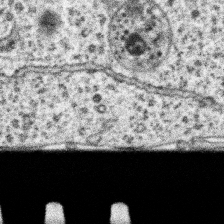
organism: Human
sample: HeLa cells